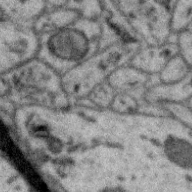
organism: Zebra finch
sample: Brain